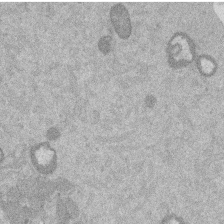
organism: Mouse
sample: Dividing mouse embryo 1 cell stage